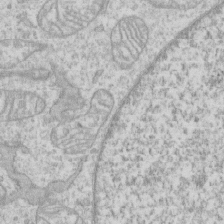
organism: Human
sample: CRL-1474